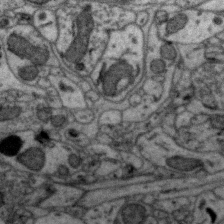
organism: Zebra finch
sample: Brain